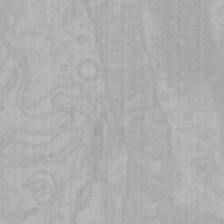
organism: Mouse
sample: Choroid plexus